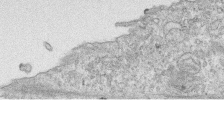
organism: Human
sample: HeLa cell HIV synapse